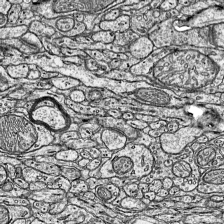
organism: Mouse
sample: Visual Cortex